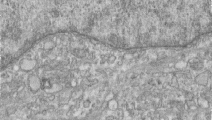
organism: Human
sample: Centriole in RPE cells